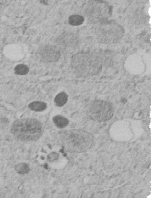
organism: C. elegans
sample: C. elegans embryo early stage